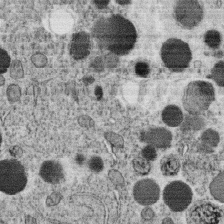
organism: C. elegans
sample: C. elegans oocyte; sperm cells